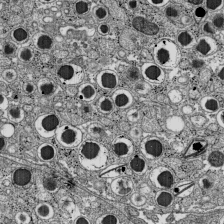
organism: C57BL Mouse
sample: Pancreatic islet